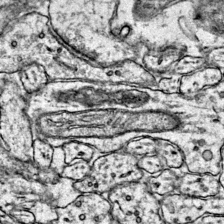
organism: Mouse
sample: Primary visual cortex